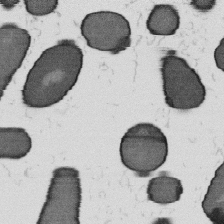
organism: B. subtilis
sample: Bacterial spore